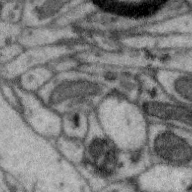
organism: Zebra finch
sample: Brain